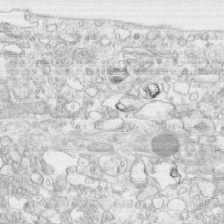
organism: Human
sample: CRL-1474